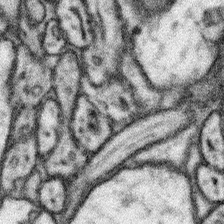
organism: Mouse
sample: Somatosensory cortex neuropil